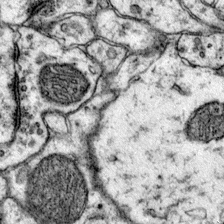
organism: Mouse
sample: Primary visual cortex